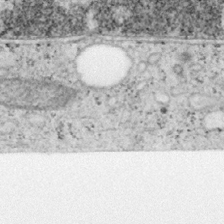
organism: Mouse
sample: OT-I killer T cells with ID8 ovarian cancer cells